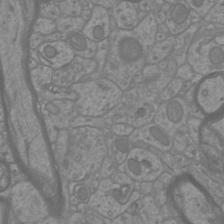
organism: Mouse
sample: Cortical neurons